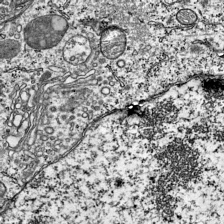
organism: Mouse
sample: Visual Cortex